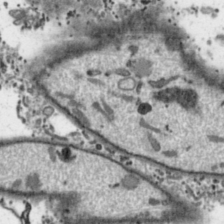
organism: Toxoplasma gondii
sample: Parasites in a vacuole inside a host cell